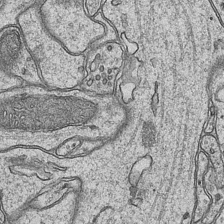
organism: Mouse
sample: CA1 Hippocampus